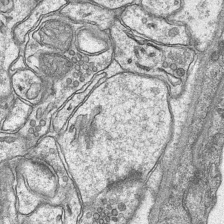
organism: Mouse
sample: CA1 Hippocampus